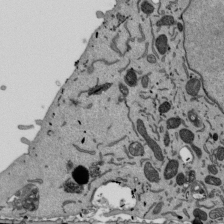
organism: Mouse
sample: ED-1 cell nuclei; centrioles